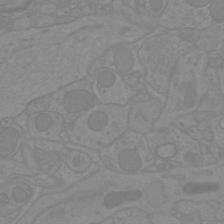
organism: Mouse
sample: Cortical neurons